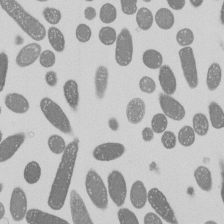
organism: E. coli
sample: Bacterial nucleoid